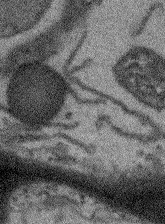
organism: Arabidopsis thaliana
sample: Root tip